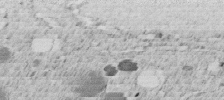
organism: C. elegans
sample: C. elegans embryo early stage